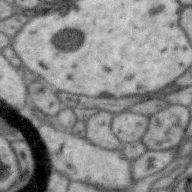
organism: Zebra finch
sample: Brain